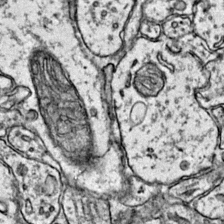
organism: Mouse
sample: Primary visual cortex